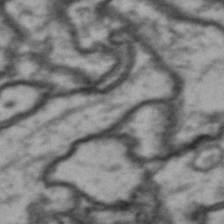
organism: Drosophila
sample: Brain